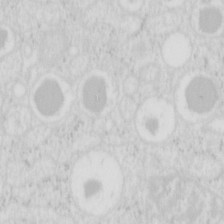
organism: Mouse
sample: Pancreas